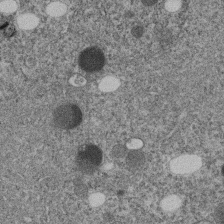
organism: C. elegans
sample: C. elegans embryo early stage